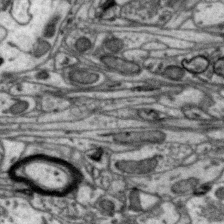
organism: Zebra finch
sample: Brain